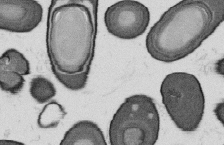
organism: B. subtilis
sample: Bacterial spore